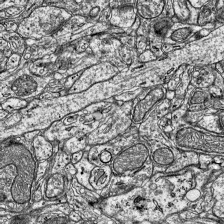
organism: Mouse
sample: Visual Cortex